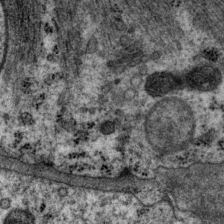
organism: P. pacificus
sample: Pharynx